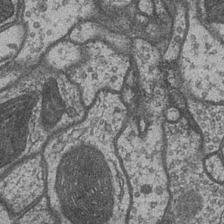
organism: Drosophila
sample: Optic medulla